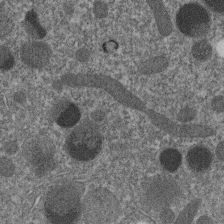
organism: C. elegans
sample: C. elegans embryo early stage